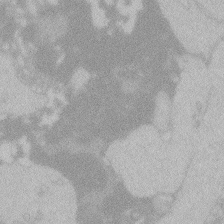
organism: Zebrafish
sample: Macrophage infected with Toxoplasma gondii